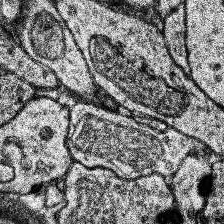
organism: Human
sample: Temporal Lobe